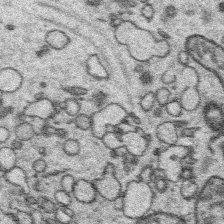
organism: Platynereis dumerilii